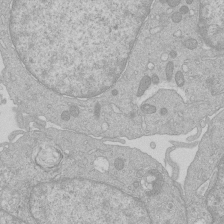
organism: Human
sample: Macrophage cells